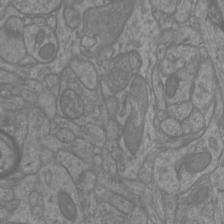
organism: Mouse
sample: Cortical neurons